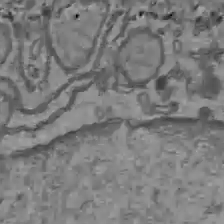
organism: C57BL Mouse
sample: Liver